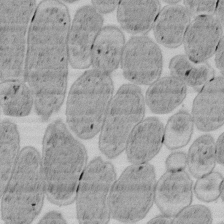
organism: E. coli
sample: Bacterial nucleoid